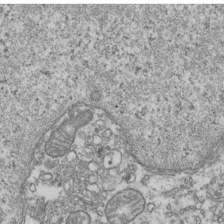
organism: Human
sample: Activated Jurkat CD4+ T cells